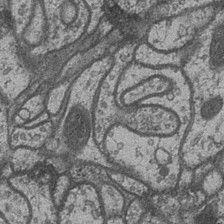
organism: Drosophila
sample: Optic medulla